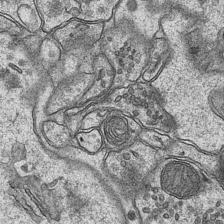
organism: Mouse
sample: CA1 Hippocampus